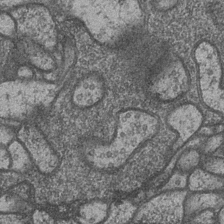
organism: Drosophila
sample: Optic medulla